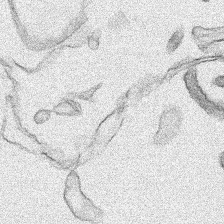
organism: Human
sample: Mitochondria in HCT116 cells